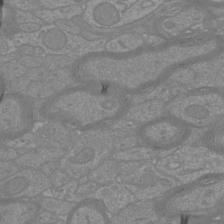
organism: Mouse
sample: Cortical neurons